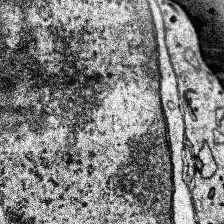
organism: Human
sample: Temporal Lobe